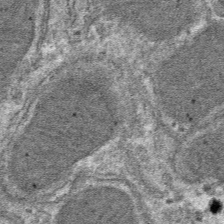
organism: Mouse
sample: Mouse hepatocytes